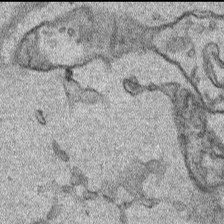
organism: Human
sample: Mitochondria in HCT116 cells